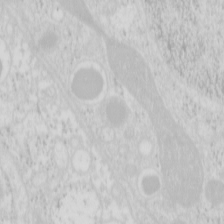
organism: Mouse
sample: Pancreas